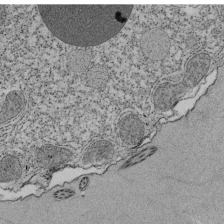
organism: Tetrahymena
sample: Cilia in tetrahymena